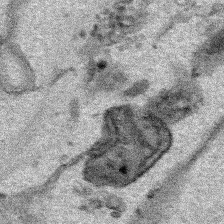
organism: Human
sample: Mitochondria in HCT116 cells